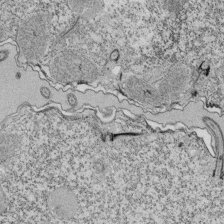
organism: Tetrahymena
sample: Cilia in tetrahymena